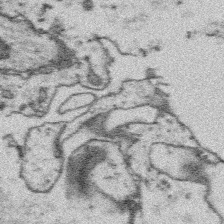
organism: Platynereis dumerilii